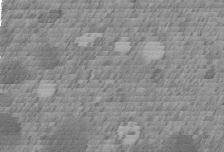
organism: C. elegans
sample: C. elegans embryo early stage